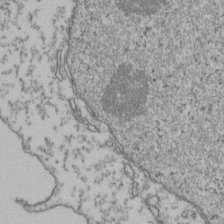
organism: Human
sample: Activated Jurkat CD4+ T cells